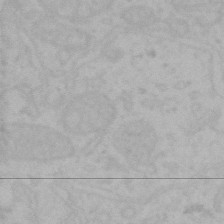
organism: Mouse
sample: Choroid plexus